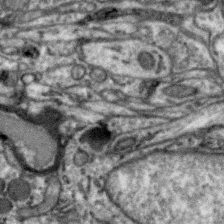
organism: Zebra finch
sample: Brain